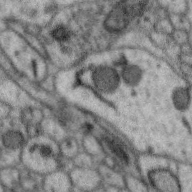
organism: Zebra finch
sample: Brain